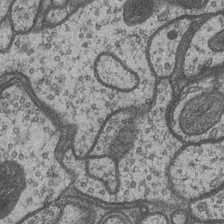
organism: Drosophila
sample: Optic medulla